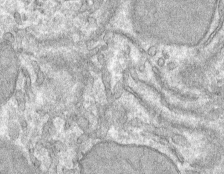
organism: Mouse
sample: Mouse hepatocytes